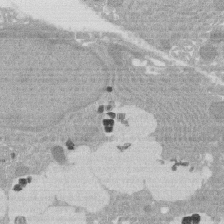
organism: Rat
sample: Salivary granule